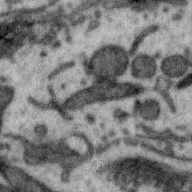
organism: Zebra finch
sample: Brain